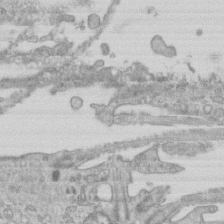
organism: Mouse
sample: Centriole in ependymal cells